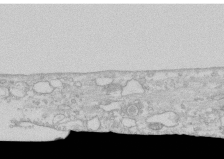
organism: Human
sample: CRL-1474